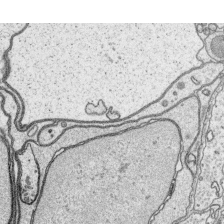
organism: Platynereis dumerilii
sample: Parapodia